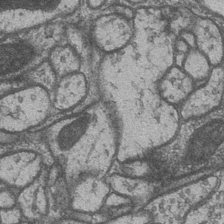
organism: Drosophila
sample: Optic medulla